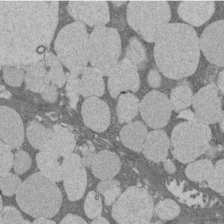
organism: Rat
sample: Salivary granule